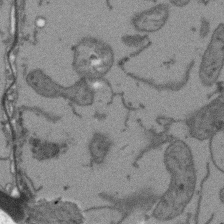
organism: Arabidopsis thaliana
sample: Root tip